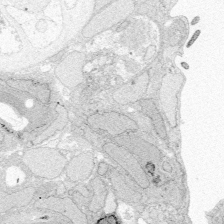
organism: Zebrafish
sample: Whole-Brain